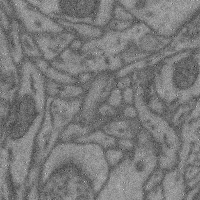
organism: Mouse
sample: Cerebral cortex